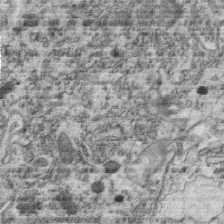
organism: C. elegans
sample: C. elegans oocyte; sperm cells